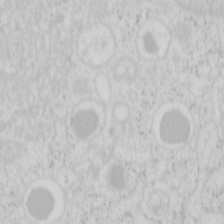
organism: Mouse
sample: Pancreas